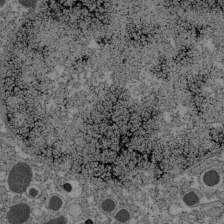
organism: C57BL Mouse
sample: Pancreatic islet